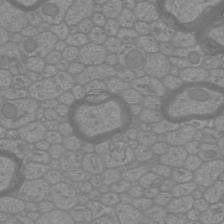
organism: Mouse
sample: Cortical neurons